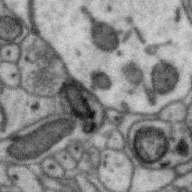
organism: Zebra finch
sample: Brain